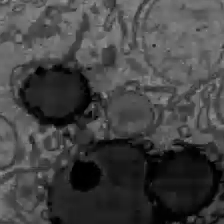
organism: C57BL Mouse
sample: Liver